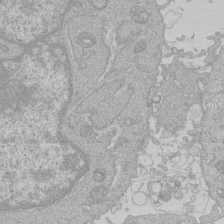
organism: Human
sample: Macrophage cells